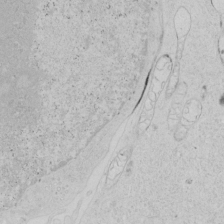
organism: Human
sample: Mitochondria in HCT116 cells